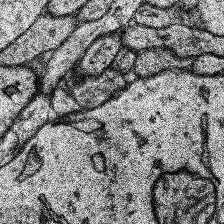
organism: Human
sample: Temporal Lobe